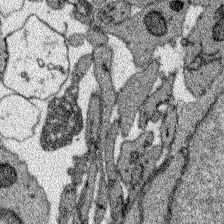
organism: Zebrafish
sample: Larval olfactory bulb